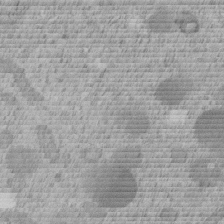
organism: C. elegans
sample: C. elegans embryo early stage